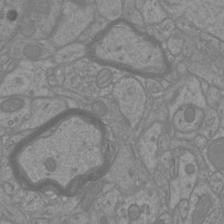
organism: Mouse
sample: Cortical neurons